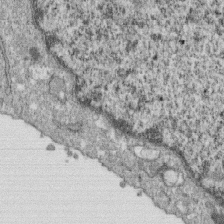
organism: African green monkey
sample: Vero E6 cells infected with SARS-CoV-2